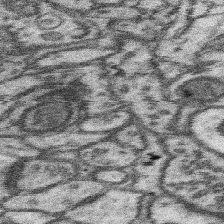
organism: Mouse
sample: Somatosensory cortex neuropil